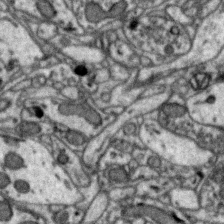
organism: Zebra finch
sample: Brain